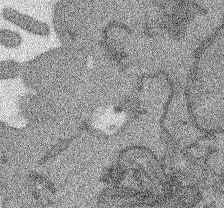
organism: Human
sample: HeLa cells